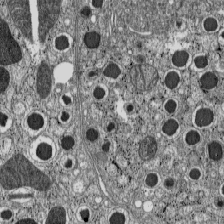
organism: C57BL Mouse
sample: Pancreatic islet